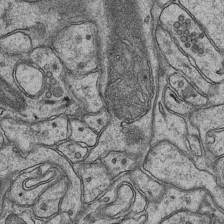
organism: Mouse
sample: CA1 Hippocampus